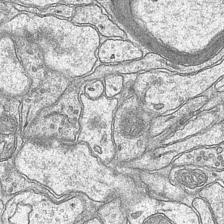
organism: Mouse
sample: CA1 Hippocampus